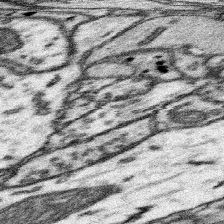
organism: Mouse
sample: Somatosensory cortex neuropil